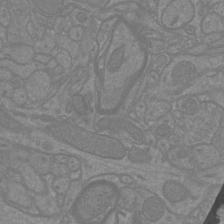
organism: Mouse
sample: Cortical neurons